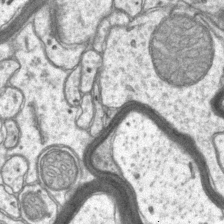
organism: Mouse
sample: CA1 Hippocampus